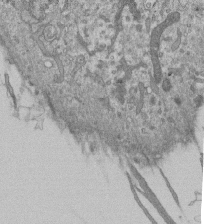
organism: Mouse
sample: ED-1 cell nuclei; centrioles